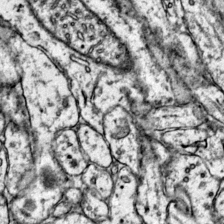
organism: Mouse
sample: Primary visual cortex